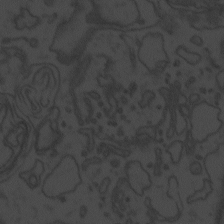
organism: Zebrafish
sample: Macrophage infected with Toxoplasma gondii